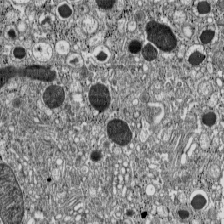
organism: C57BL Mouse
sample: Pancreatic islet